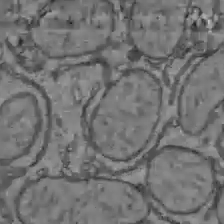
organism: C57BL Mouse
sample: Liver